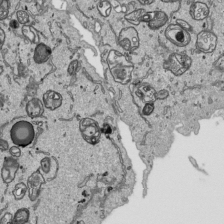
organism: Human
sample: Mitochondria in HCT116 cells